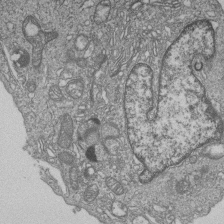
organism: Human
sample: MDA-MB-231 cells